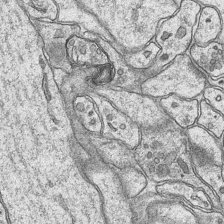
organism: Mouse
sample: CA1 Hippocampus